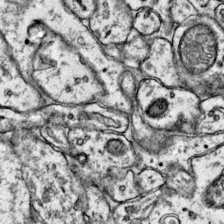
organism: Mouse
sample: Primary visual cortex